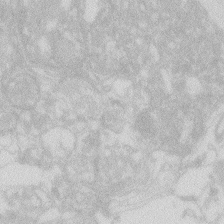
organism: Zebrafish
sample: Macrophage